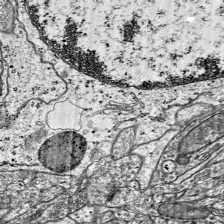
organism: Mouse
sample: Visual Cortex